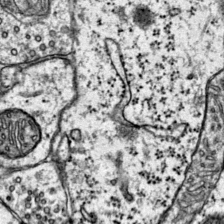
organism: Mouse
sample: Primary visual cortex